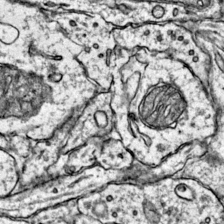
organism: Mouse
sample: Primary visual cortex